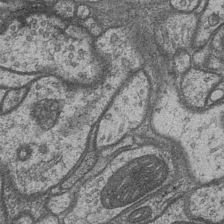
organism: Drosophila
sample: Optic medulla